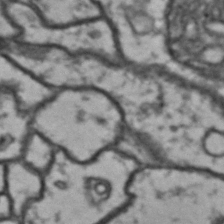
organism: Drosophila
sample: Brain